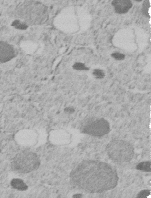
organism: C. elegans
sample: C. elegans embryo early stage